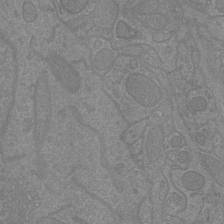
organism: Mouse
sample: Cortical neurons